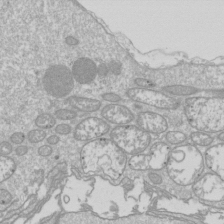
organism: Drosophila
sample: Cell division; meiosis; drosophila spermatocytes